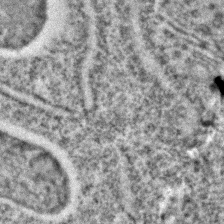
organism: C. elegans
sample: C. elegans embryo